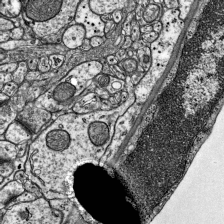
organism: Mouse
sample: Visual Cortex